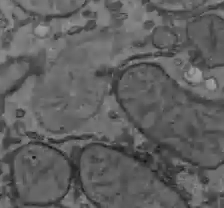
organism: C57BL Mouse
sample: Liver